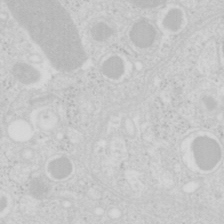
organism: Mouse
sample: Pancreas